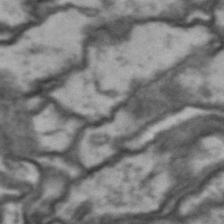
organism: Drosophila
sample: Brain